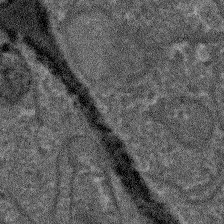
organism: Arabidopsis thaliana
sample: Root tip